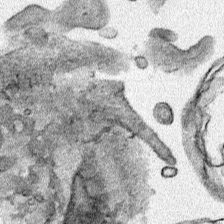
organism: Human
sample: Mitochondria in HCT116 cells